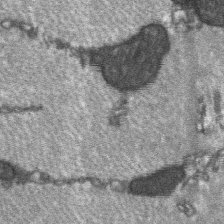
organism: C57BL Mouse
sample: Soleus